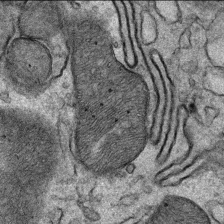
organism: Mouse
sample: Mouse Salivary gland